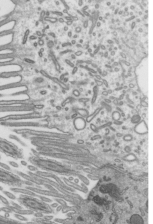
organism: Mouse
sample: Mouse epididymis efferent ductule cilia